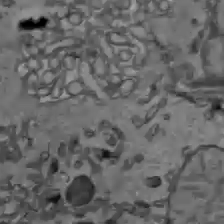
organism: C57BL Mouse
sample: Liver